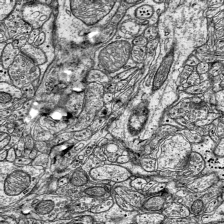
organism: Mouse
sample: Visual Cortex